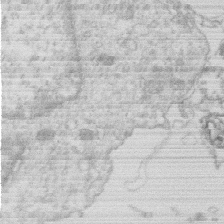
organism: Human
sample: Macrophage cells